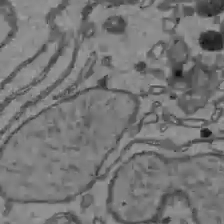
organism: C57BL Mouse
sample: Liver